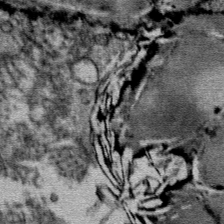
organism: Mouse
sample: Mouse Salivary gland